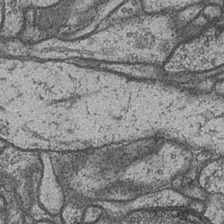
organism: Drosophila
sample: Optic medulla